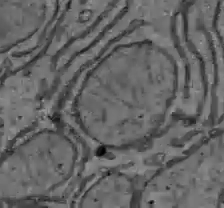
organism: C57BL Mouse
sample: Liver